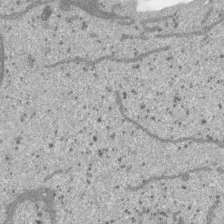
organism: Human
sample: Lung epithelial cells infected with SARS-CoV-2